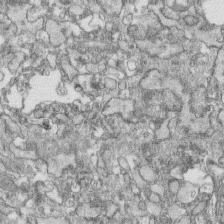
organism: Human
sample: CRL-1474